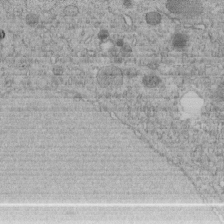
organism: C. elegans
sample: C. elegans embryo early stage